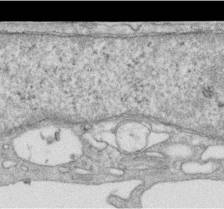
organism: Human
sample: Centriole in RPE cells